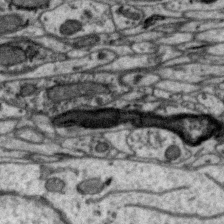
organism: Zebra finch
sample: Brain